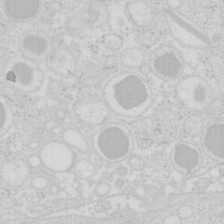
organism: Mouse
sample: Pancreas